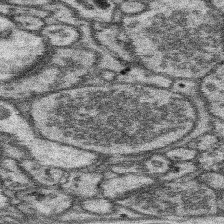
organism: Mouse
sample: Somatosensory cortex neuropil